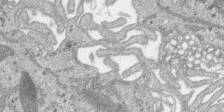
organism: Human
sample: Lung epithelial cells infected with SARS-CoV-2